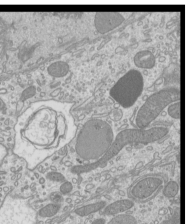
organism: Mouse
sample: Cilia; mouse epididymis